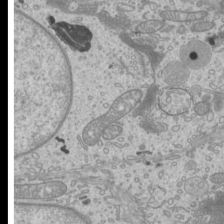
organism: Mouse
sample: Cilia; mouse epididymis